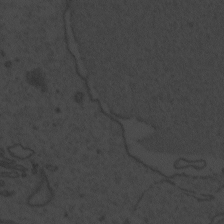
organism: Zebrafish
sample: Macrophage infected with Toxoplasma gondii